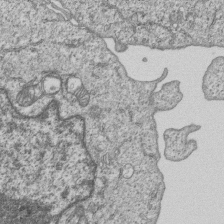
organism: Human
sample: MDA-MB-231 cells